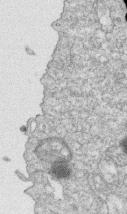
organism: Human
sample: HeLa cell HIV synapse